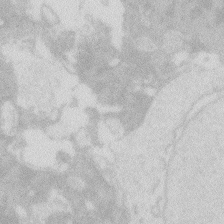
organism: Zebrafish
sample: Macrophage